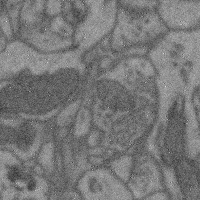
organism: Mouse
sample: Cerebral cortex